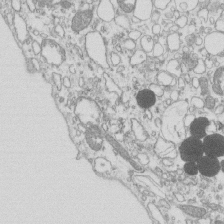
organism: Mouse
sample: Macrophages